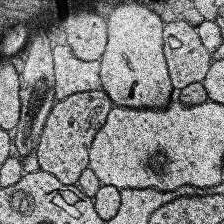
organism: Human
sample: Temporal Lobe